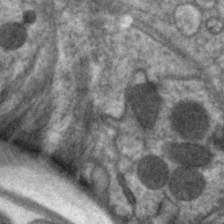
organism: C. elegans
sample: Pharynx